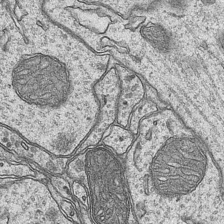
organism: Mouse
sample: CA1 Hippocampus